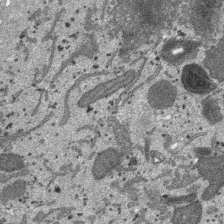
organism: Human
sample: Lung epithelial cells infected with SARS-CoV-2